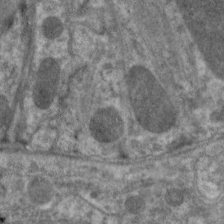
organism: C. elegans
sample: Pharynx